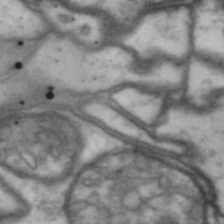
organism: Drosophila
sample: Brain